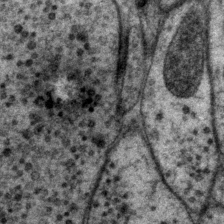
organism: P. pacificus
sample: Pharynx